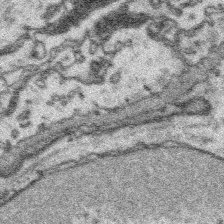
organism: Platynereis dumerilii